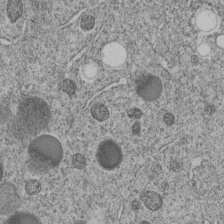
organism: C. elegans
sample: C. elegans embryo early stage